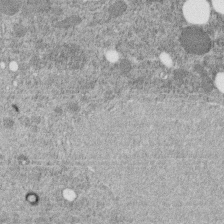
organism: C. elegans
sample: C. elegans embryo early stage